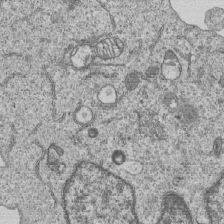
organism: Human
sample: MDA-MB-231 cells